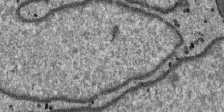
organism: Human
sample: Lung epithelial cells, uninfected (mock) control